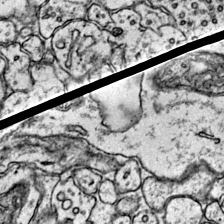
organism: Mouse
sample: Primary visual cortex